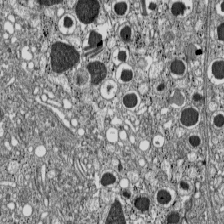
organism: C57BL Mouse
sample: Pancreatic islet